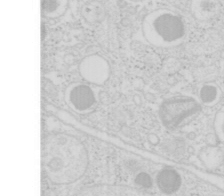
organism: Mouse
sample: Pancreas